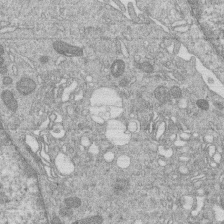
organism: Human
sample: Macrophage cells